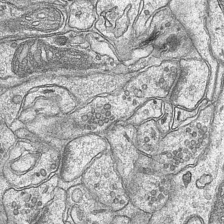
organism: Mouse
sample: CA1 Hippocampus